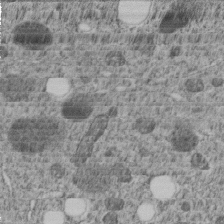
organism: C. elegans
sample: C. elegans embryo early stage